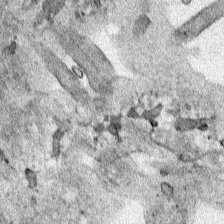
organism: Human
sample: Mitochondria in HCT116 cells